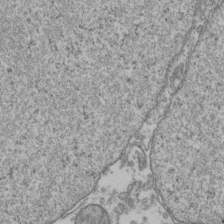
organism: Human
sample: Activated Jurkat CD4+ T cells